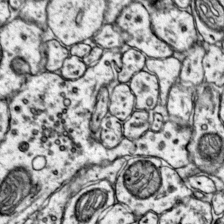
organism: Mouse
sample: Primary visual cortex